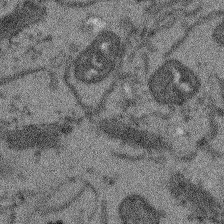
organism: Arabidopsis thaliana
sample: Root tip